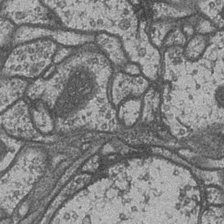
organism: Drosophila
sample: Optic medulla